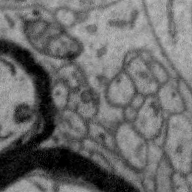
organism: Zebra finch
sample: Brain